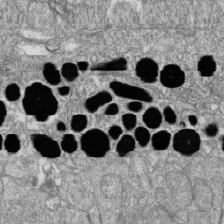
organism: Zebrafish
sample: Cilia; retinal pigment epithelium